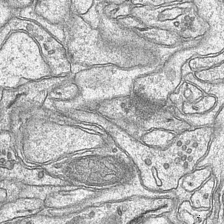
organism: Mouse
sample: CA1 Hippocampus